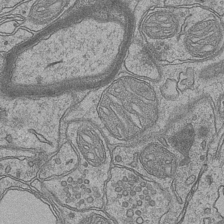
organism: Mouse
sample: CA1 Hippocampus